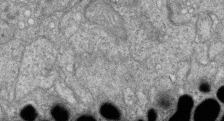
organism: Zebrafish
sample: Cilia; retinal pigment epithelium